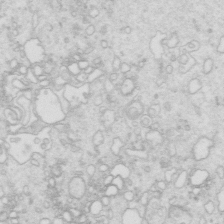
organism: Mouse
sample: Multiciliated cells